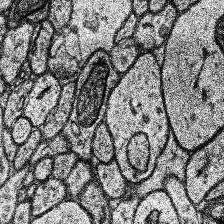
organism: Human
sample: Temporal Lobe